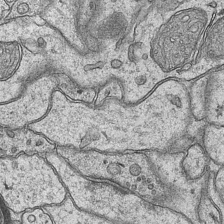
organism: Mouse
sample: CA1 Hippocampus